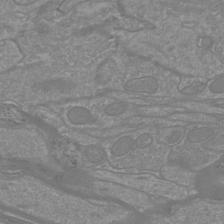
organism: Mouse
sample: Cortical neurons